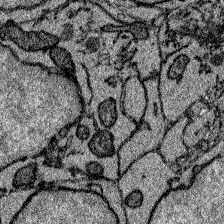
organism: Zebrafish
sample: Larval olfactory bulb